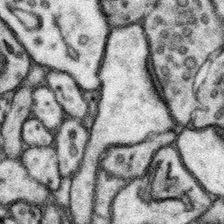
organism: Mouse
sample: Somatosensory cortex neuropil